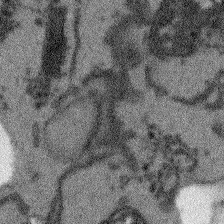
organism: Arabidopsis thaliana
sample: Root tip